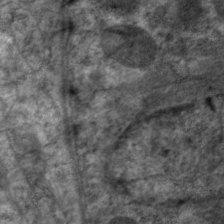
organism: C. elegans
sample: Pharynx